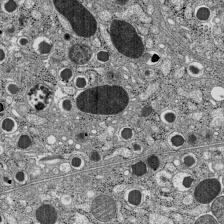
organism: C57BL Mouse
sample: Pancreatic islet